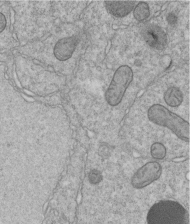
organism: C. elegans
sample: C. elegans embryo early stage